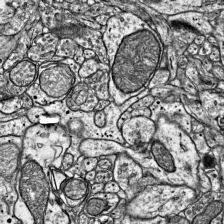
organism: Mouse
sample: Visual Cortex